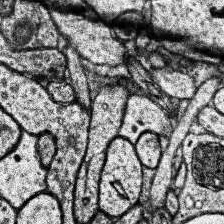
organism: Human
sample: Temporal Lobe